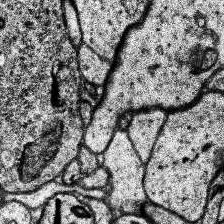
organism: Human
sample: Temporal Lobe